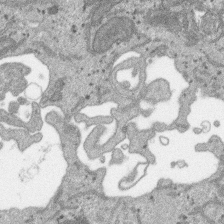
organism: Human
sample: Lung epithelial cells infected with SARS-CoV-2